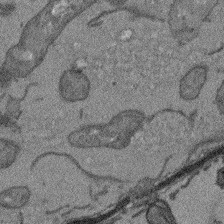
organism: Arabidopsis thaliana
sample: Root tip